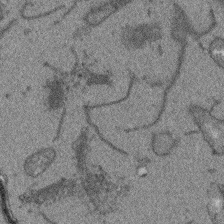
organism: Arabidopsis thaliana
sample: Root tip